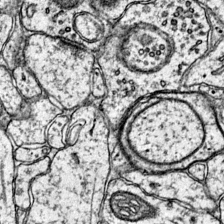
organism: Mouse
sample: Primary visual cortex